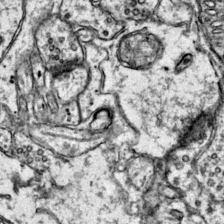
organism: Mouse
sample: Primary visual cortex